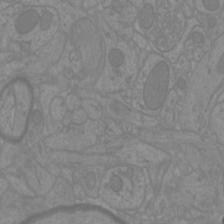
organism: Mouse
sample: Cortical neurons